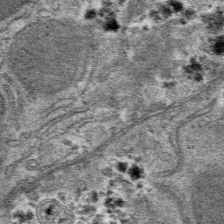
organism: Mouse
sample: Mouse hepatocytes